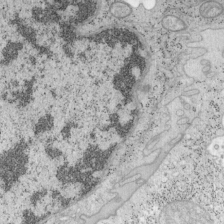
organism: Mouse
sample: OT-I killer T cells with ID8 ovarian cancer cells